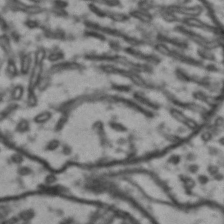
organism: Drosophila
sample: Brain